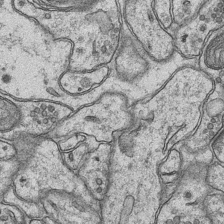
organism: Mouse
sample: CA1 Hippocampus